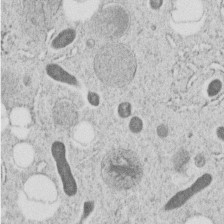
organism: C. elegans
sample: C. elegans embryo early stage